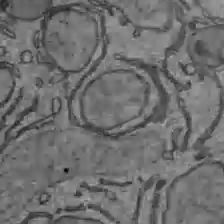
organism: C57BL Mouse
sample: Liver